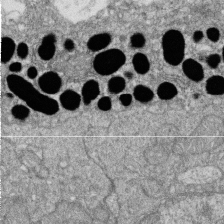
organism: Zebrafish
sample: Cilia; retinal pigment epithelium